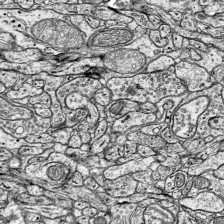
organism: Mouse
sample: Visual Cortex